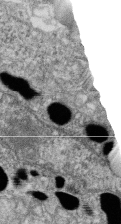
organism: Zebrafish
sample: Cilia; retinal pigment epithelium